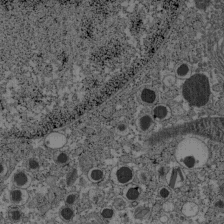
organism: C57BL Mouse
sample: Pancreatic islet